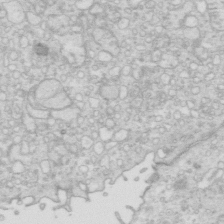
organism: Mouse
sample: Multiciliated cells